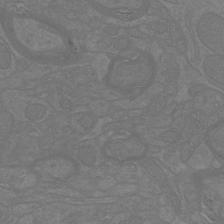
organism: Mouse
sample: Cortical neurons